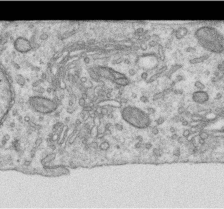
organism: Human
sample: Centriole in RPE cells